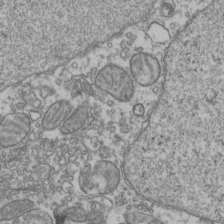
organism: Human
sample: Activated Jurkat CD4+ T cells